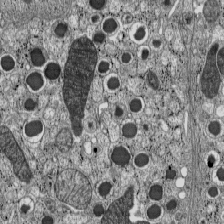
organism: C57BL Mouse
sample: Pancreatic islet